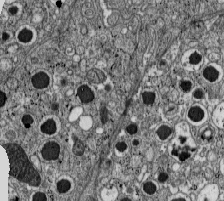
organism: C57BL Mouse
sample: Pancreatic islet